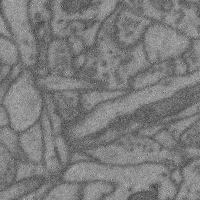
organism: Mouse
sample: Cerebral cortex